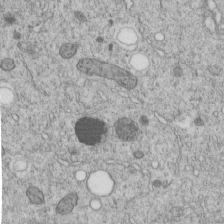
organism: C. elegans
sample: C. elegans embryo early stage